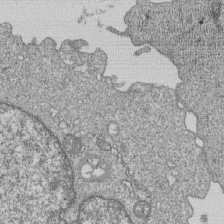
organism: Human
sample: MDA-MB-231 cells